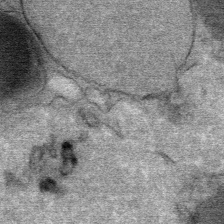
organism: Mouse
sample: Mouse Salivary gland